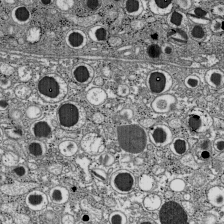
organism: C57BL Mouse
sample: Pancreatic islet